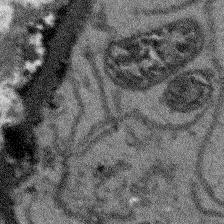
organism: Arabidopsis thaliana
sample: Root tip